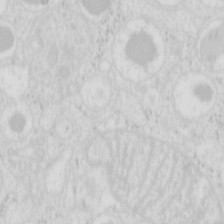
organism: Mouse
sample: Pancreas